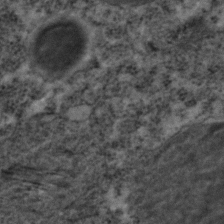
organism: C. elegans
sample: C. elegans embryo